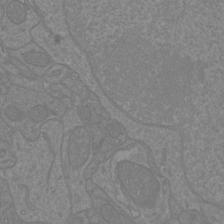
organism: Mouse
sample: Cortical neurons